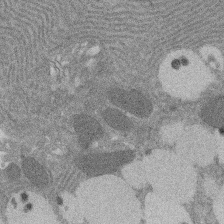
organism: Rat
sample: Salivary granule